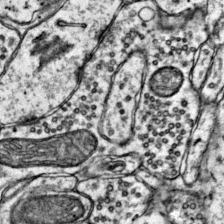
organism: Mouse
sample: Primary visual cortex